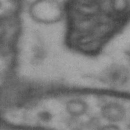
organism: Drosophila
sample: Brain